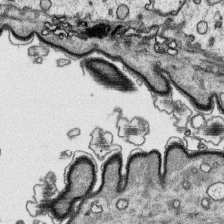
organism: Platynereis dumerilii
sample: Parapodia